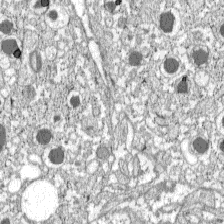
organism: C57BL Mouse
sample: Pancreatic islet